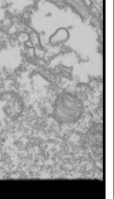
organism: Drosophila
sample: Cell division; meiosis; drosophila spermatocytes